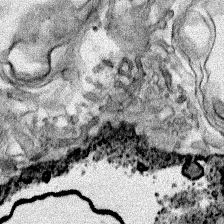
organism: Human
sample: Mitochondria in HCT116 cells